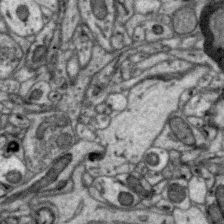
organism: Zebra finch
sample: Brain